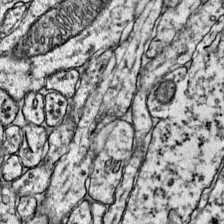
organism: Mouse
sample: Primary visual cortex